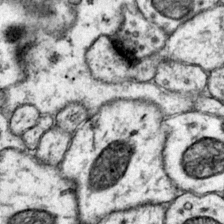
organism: Mouse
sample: Primary visual cortex